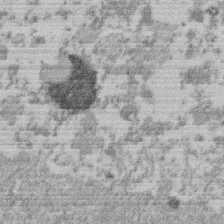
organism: Mouse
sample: Dividing mouse embryo 1 cell stage